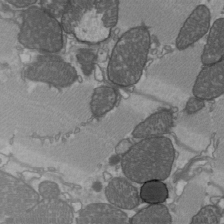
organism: C57BL Mouse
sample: Heart